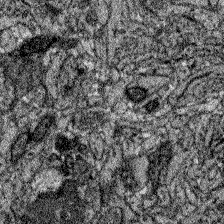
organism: Zebrafish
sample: Larval olfactory bulb